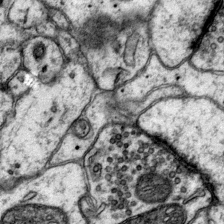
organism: Mouse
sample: Primary visual cortex